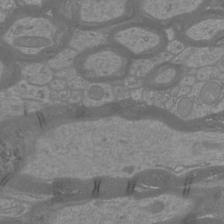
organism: Mouse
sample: Cortical neurons